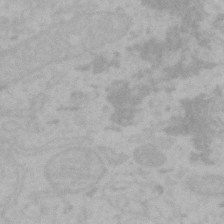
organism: Mouse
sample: Choroid plexus